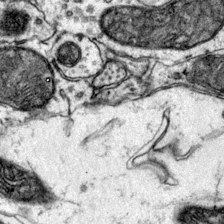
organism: Mouse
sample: Primary visual cortex